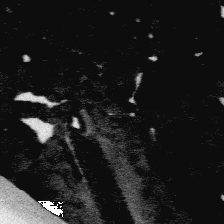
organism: Platynereis dumerilii